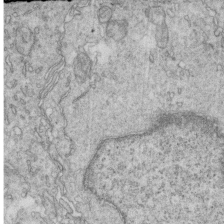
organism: Mouse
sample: Multiciliated cells